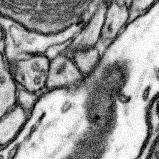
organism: Mouse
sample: Somatosensory cortex neuropil